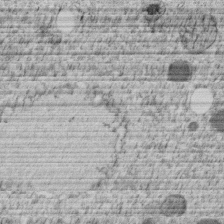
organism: C. elegans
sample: C. elegans embryo early stage